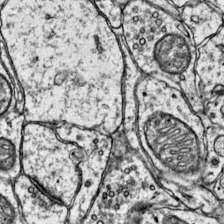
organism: Mouse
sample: Primary visual cortex